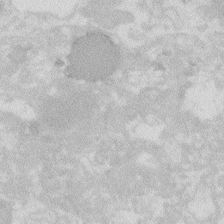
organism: Zebrafish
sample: Macrophage